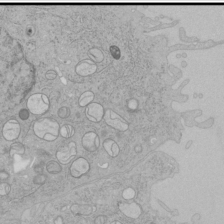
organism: Human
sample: Mitochondria in HCT116 cells